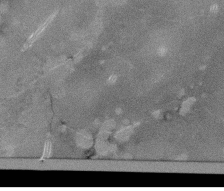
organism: Tetrahymena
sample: Cilia in tetrahymena